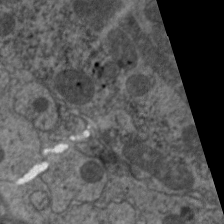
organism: C. elegans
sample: Pharynx